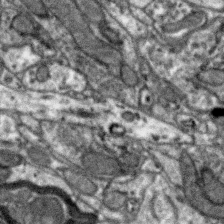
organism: Zebra finch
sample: Brain